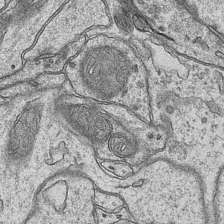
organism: Mouse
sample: CA1 Hippocampus